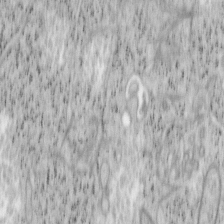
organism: Human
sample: HeLa cells